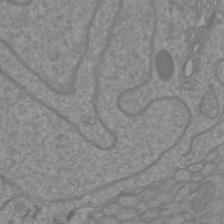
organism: Mouse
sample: Cortical neurons